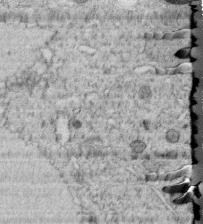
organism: C. elegans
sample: C. elegans embryo early stage